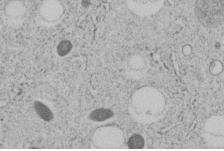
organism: C. elegans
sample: C. elegans embryo early stage